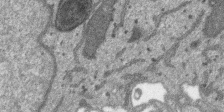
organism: Human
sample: Lung epithelial cells infected with SARS-CoV-2